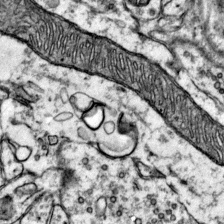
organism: Mouse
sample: Primary visual cortex